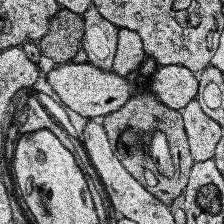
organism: Human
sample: Temporal Lobe